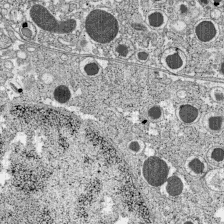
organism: C57BL Mouse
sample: Pancreatic islet